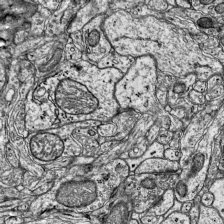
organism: Mouse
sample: Visual Cortex